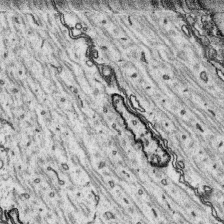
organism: Platynereis dumerilii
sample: Parapodia